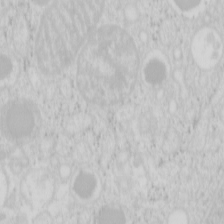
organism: Mouse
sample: Pancreas